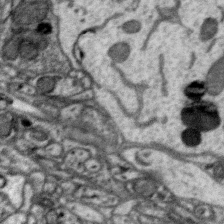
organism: Zebra finch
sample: Brain